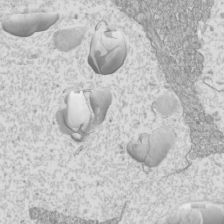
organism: Mouse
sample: Cilia; mouse epididymis